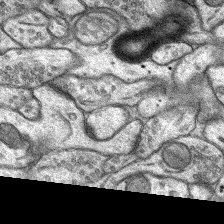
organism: Rat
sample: Hippocampus